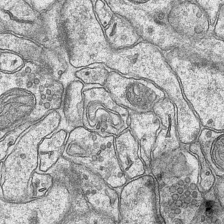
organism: Mouse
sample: CA1 Hippocampus